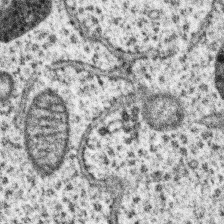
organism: Human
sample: HeLa cells